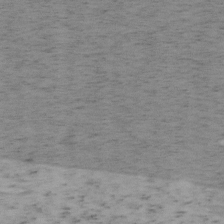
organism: Mouse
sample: OT-I killer T cells with ID8 ovarian cancer cells